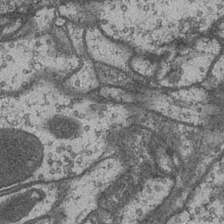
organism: Drosophila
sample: Optic medulla